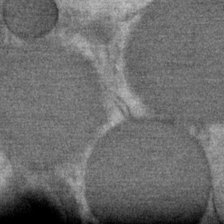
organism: Mouse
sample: Mouse Salivary gland